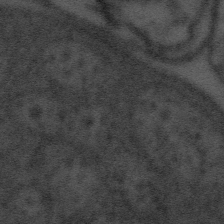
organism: Tuwongella immobilis